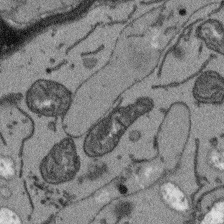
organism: Arabidopsis thaliana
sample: Root tip